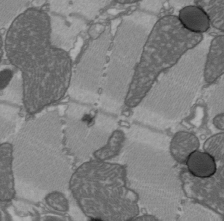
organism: C57BL Mouse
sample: Heart